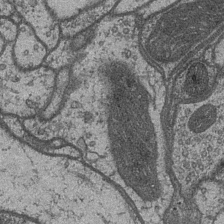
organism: Drosophila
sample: Optic medulla